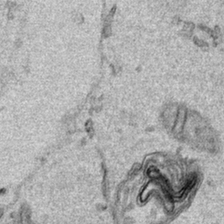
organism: Human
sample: Mitochondria in HCT116 cells